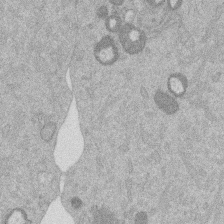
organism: Mouse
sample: Dividing mouse embryo 1 cell stage